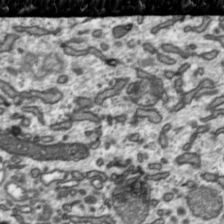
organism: Toxoplasma gondii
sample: Parasites in a vacuole inside a host cell